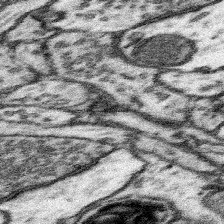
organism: Mouse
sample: Somatosensory cortex neuropil